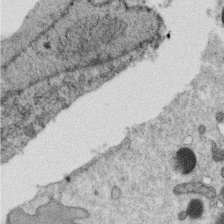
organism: C. elegans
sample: C. elegans oocyte; sperm cells